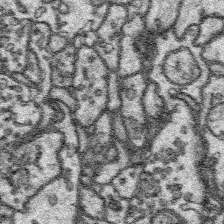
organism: Platynereis dumerilii